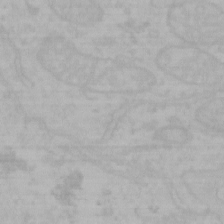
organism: Mouse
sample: Choroid plexus